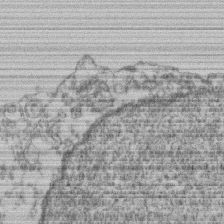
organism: Mouse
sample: T cell stromal cell synapse